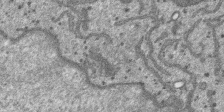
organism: Human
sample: Lung epithelial cells infected with SARS-CoV-2